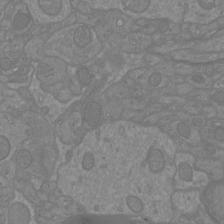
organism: Mouse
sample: Cortical neurons